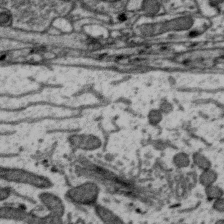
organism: Zebra finch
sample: Brain